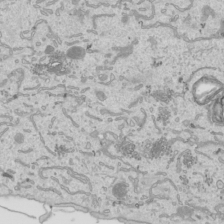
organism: Human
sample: Mitochondria in HCT116 cells